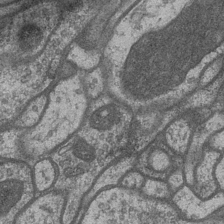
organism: Drosophila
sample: Optic medulla